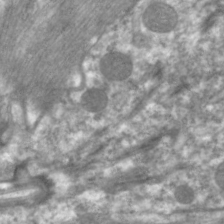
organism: C. elegans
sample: Pharynx